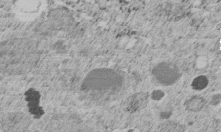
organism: C. elegans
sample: C. elegans embryo early stage